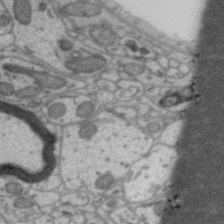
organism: Zebra finch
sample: Brain